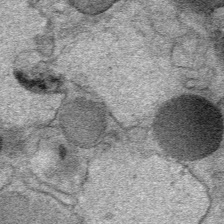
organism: Mouse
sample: Mouse Salivary gland